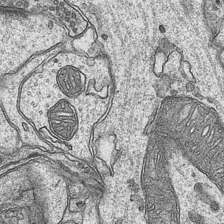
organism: Mouse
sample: CA1 Hippocampus